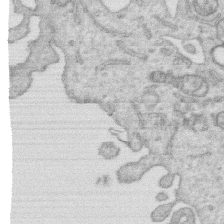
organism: Human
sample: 1205lu cells